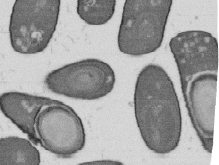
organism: B. subtilis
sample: Bacterial spore